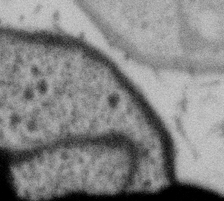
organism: Gemmata obscuriglobus